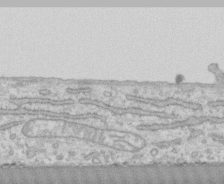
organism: Human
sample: CRL-1474